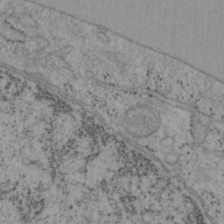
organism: Human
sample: HeLa cells